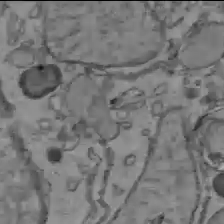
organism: C57BL Mouse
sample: Liver